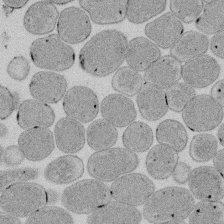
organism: E. coli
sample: Bacterial nucleoid